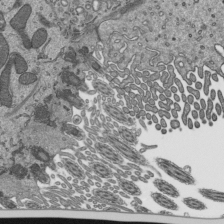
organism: Mouse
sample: Mouse epididymis efferent ductule cilia